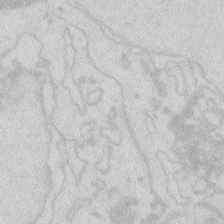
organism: Zebrafish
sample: Macrophage